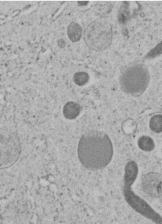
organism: C. elegans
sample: C. elegans embryo early stage